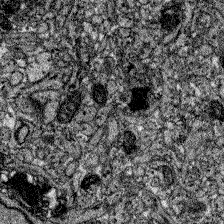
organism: Zebrafish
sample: Larval olfactory bulb